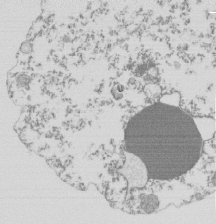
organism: Mouse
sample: Activated Pmel transgenic CD8+ T Cells